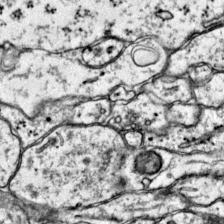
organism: Mouse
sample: Primary visual cortex